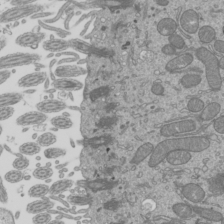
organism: Mouse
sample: Cilia; mouse epididymis